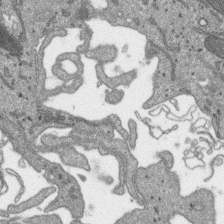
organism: Human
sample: Lung epithelial cells infected with SARS-CoV-2